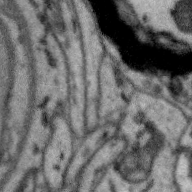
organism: Zebra finch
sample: Brain